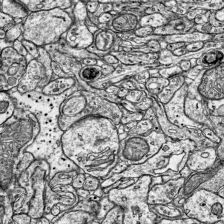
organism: Mouse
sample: Visual Cortex